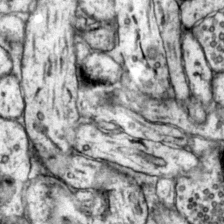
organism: Mouse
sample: Primary visual cortex